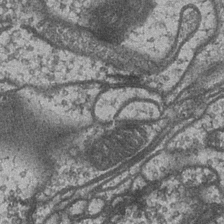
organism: Drosophila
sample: Optic medulla